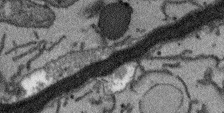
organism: Arabidopsis thaliana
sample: Root tip